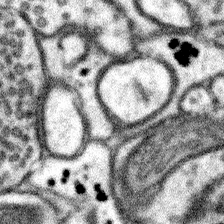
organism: Mouse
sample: Somatosensory cortex neuropil